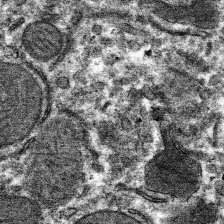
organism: Mouse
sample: Mouse hepatocytes